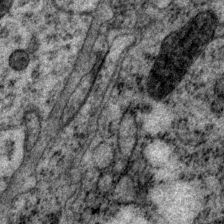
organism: P. pacificus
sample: Pharynx